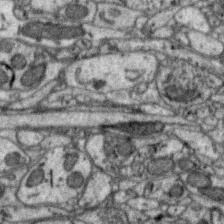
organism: Zebra finch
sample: Brain